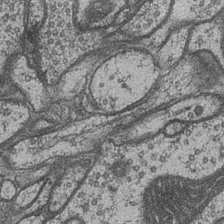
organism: Drosophila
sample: Optic medulla